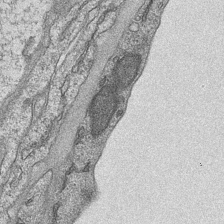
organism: Mouse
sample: CA1 Hippocampus